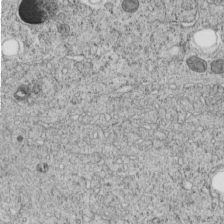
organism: C. elegans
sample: C. elegans embryo early stage